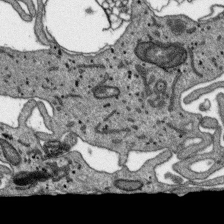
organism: Human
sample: Lung epithelial cells, uninfected (mock) control